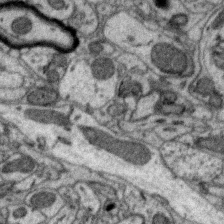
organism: Zebra finch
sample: Brain